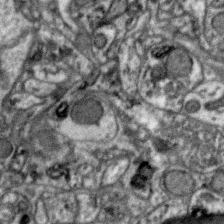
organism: Zebra finch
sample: Brain